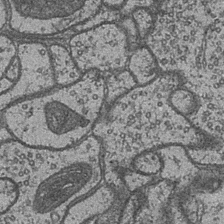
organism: Drosophila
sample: Optic medulla